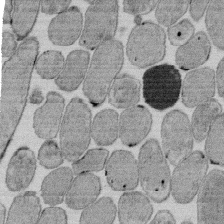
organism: E. coli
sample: Bacterial nucleoid